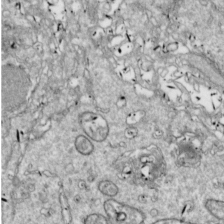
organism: Drosophila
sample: Cell division; meiosis; drosophila spermatocytes